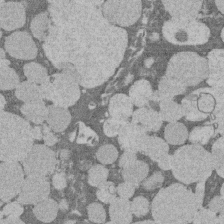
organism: Rat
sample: Salivary granule